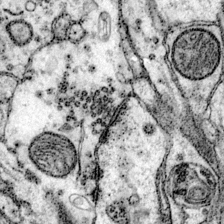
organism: Mouse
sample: Primary visual cortex